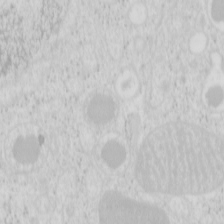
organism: Mouse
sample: Pancreas